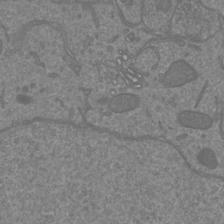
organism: Mouse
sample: Cortical neurons